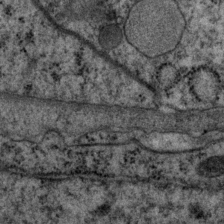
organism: P. pacificus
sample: Pharynx